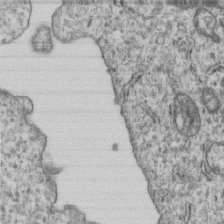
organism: Human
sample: MDA-MB-231 cells